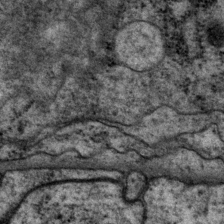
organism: P. pacificus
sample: Pharynx